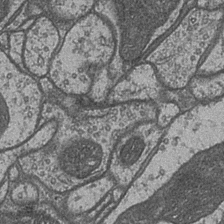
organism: Drosophila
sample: Optic medulla